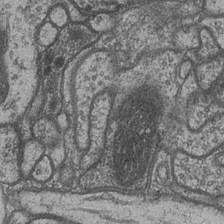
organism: Drosophila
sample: Optic medulla